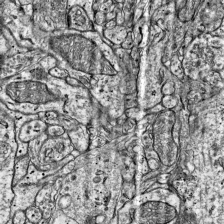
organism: Mouse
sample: Visual Cortex